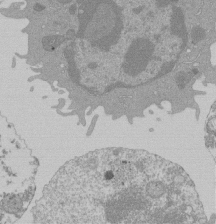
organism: Mouse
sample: Activated Pmel transgenic CD8+ T Cells